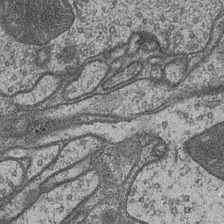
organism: Drosophila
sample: Optic medulla